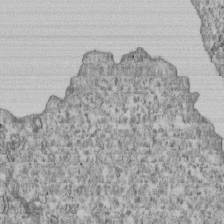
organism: Human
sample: MDA-MB-231 cells